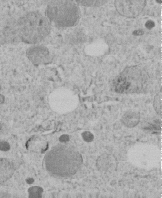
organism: C. elegans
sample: C. elegans embryo early stage